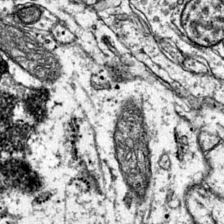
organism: Mouse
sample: Primary visual cortex